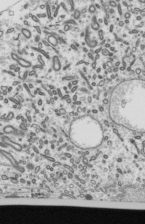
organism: Mouse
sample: Mouse epididymis efferent ductule cilia